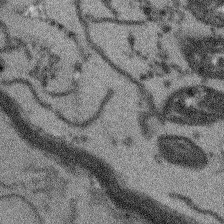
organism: Arabidopsis thaliana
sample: Root tip